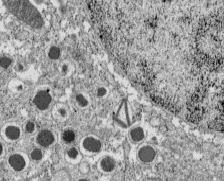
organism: C57BL Mouse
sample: Pancreatic islet